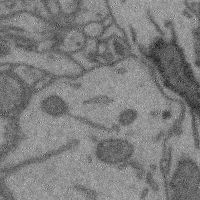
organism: Mouse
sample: Cerebral cortex